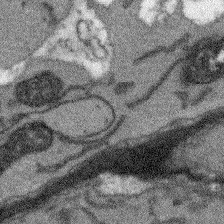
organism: Arabidopsis thaliana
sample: Root tip